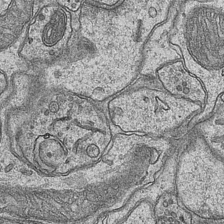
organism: Mouse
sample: CA1 Hippocampus